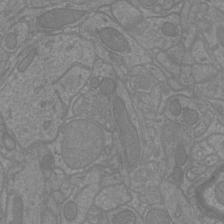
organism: Mouse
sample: Cortical neurons